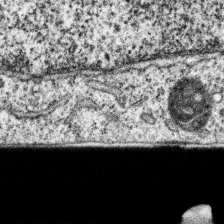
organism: Human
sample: HeLa cells